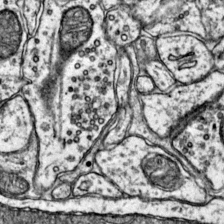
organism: Mouse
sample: Primary visual cortex